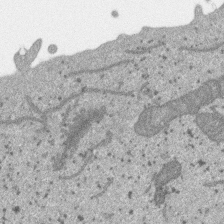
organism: Human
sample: Lung epithelial cells infected with SARS-CoV-2